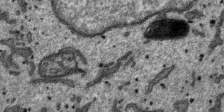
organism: Human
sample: Lung epithelial cells, uninfected (mock) control